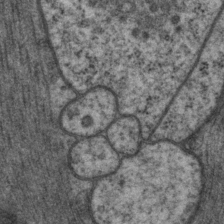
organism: P. pacificus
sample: Pharynx